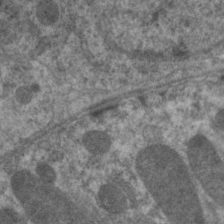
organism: C. elegans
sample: Pharynx